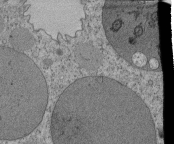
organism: Tetrahymena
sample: Cilia in tetrahymena